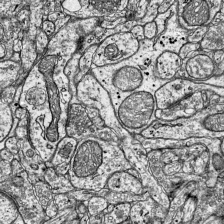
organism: Mouse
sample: Visual Cortex